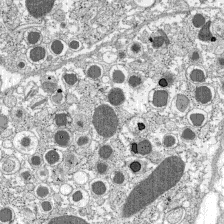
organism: C57BL Mouse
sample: Pancreatic islet